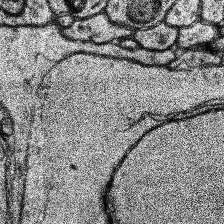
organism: Human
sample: Temporal Lobe